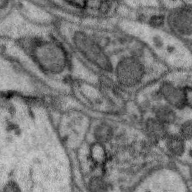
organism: Zebra finch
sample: Brain